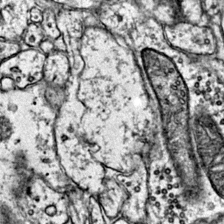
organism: Mouse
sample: Primary visual cortex